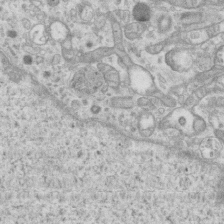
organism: Mouse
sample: Centriole in ependymal cells